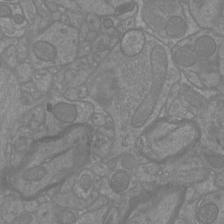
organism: Mouse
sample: Cortical neurons